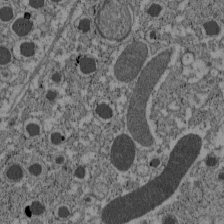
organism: C57BL Mouse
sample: Pancreatic islet